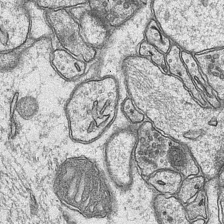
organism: Mouse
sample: CA1 Hippocampus